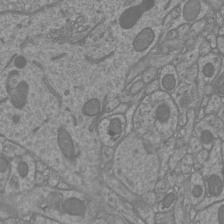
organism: Mouse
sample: Cortical neurons